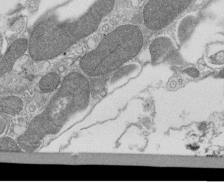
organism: Tetrahymena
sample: Cilia in tetrahymena